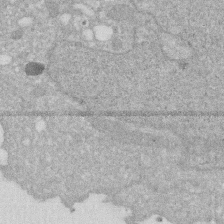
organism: Human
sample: HIV infected U937 cells